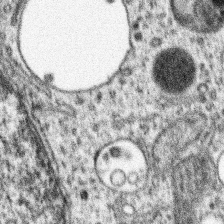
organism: Human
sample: HeLa cells